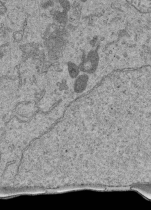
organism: Human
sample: Retinal organoid Rod and Cone cells